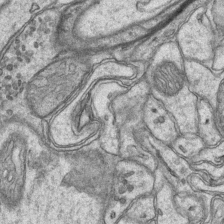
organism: Mouse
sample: CA1 Hippocampus